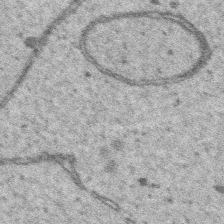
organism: Platynereis dumerilii